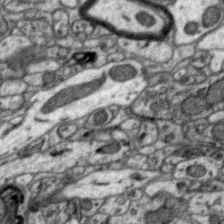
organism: Zebra finch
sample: Brain